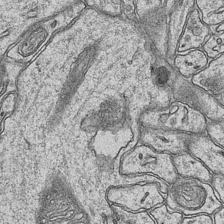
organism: Mouse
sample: CA1 Hippocampus